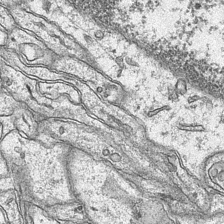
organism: Mouse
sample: CA1 Hippocampus